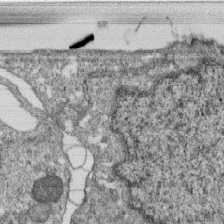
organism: African green monkey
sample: Vero E6 cells infected with SARS-CoV-2